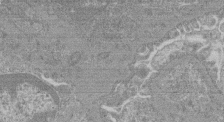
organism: Mouse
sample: Glomerulus